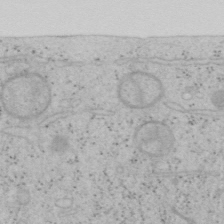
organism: Human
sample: HeLa cells